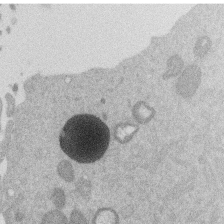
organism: Mouse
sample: Dividing mouse embryo 1 cell stage